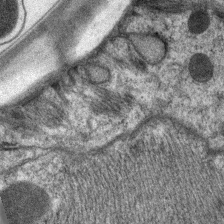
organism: C. elegans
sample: Pharynx